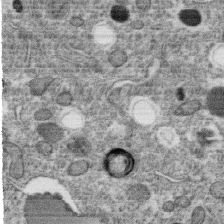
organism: C. elegans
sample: C. elegans oocyte; sperm cells